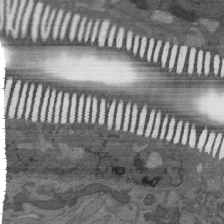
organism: C. elegans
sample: AFD neurons C. elegans